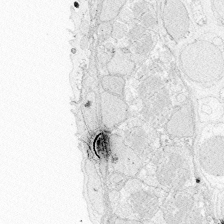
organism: Zebrafish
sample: Whole-Brain